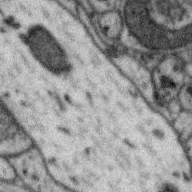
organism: Zebra finch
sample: Brain